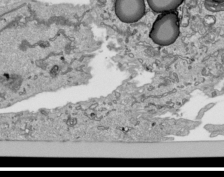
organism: Human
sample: Mitochondria in HCT116 cells